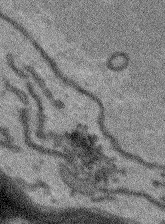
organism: Arabidopsis thaliana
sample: Root tip